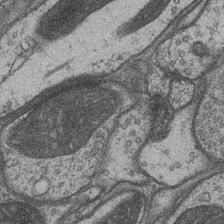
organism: Drosophila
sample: Optic medulla